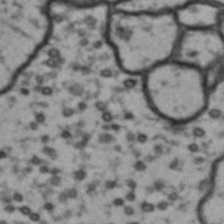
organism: Drosophila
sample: Brain